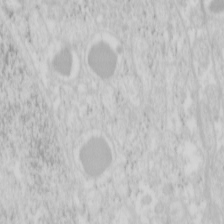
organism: Mouse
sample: Pancreas